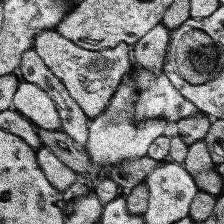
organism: Human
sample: Temporal Lobe